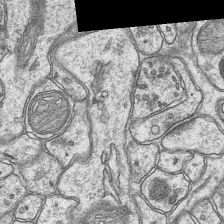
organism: Mouse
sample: CA1 Hippocampus